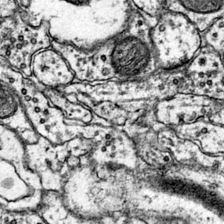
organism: Mouse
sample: Primary visual cortex